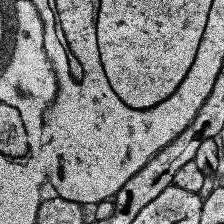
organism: Human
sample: Temporal Lobe